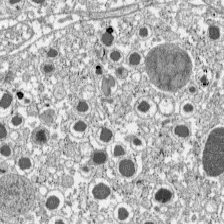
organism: C57BL Mouse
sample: Pancreatic islet